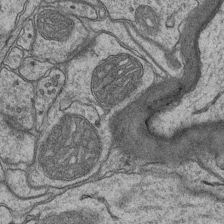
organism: Mouse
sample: CA1 Hippocampus